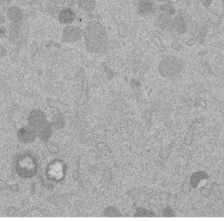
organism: Mouse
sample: Dividing mouse embryo 1 cell stage